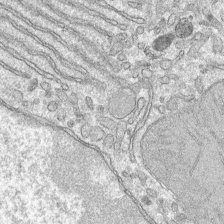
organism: Mouse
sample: Mouse hepatocytes